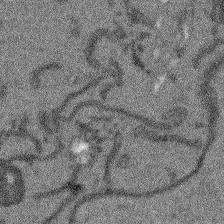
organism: Arabidopsis thaliana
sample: Root tip